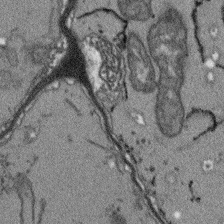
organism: Arabidopsis thaliana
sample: Root tip